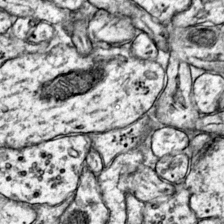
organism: Mouse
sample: Primary visual cortex